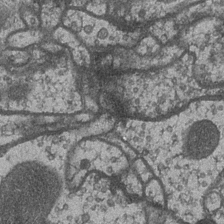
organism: Drosophila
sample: Optic medulla